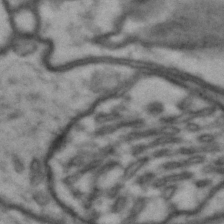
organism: Drosophila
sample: Brain